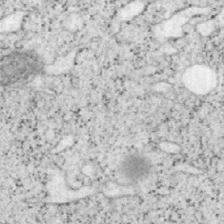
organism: Mouse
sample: OT-I killer T cells with ID8 ovarian cancer cells